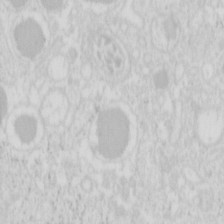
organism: Mouse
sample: Pancreas